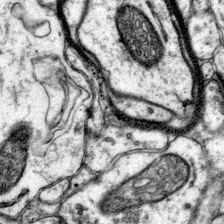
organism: Mouse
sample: Primary visual cortex